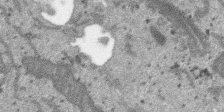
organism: Human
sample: Lung epithelial cells infected with SARS-CoV-2